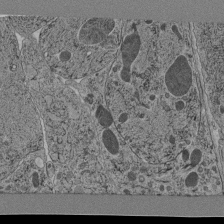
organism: C. elegans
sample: C. elegans pharynx